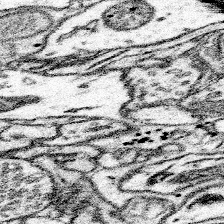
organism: Mouse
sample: Somatosensory cortex neuropil